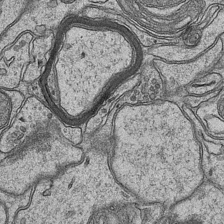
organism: Mouse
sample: CA1 Hippocampus